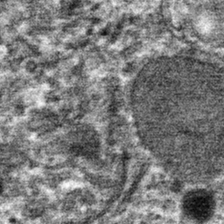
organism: Mouse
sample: Mouse hepatocytes